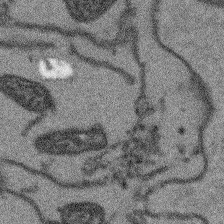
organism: Arabidopsis thaliana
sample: Root tip